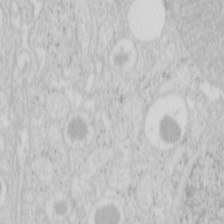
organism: Mouse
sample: Pancreas